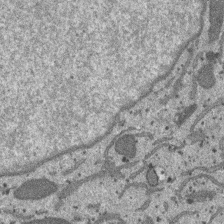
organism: Human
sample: Lung epithelial cells infected with SARS-CoV-2